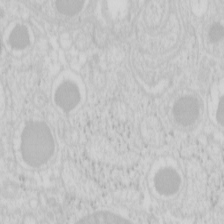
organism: Mouse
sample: Pancreas